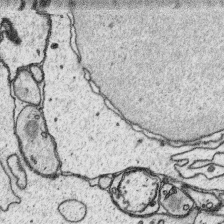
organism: Platynereis dumerilii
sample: Parapodia